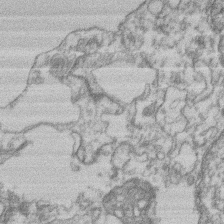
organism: Mouse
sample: T cell stromal cell synapse